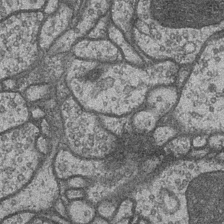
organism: Drosophila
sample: Optic medulla